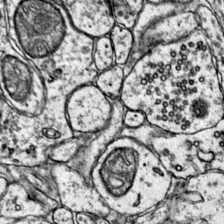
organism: Mouse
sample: Primary visual cortex